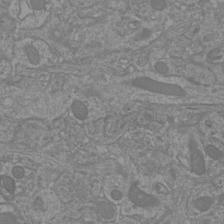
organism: Mouse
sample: Cortical neurons